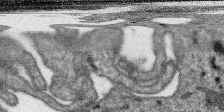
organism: Human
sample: Lung epithelial cells infected with SARS-CoV-2